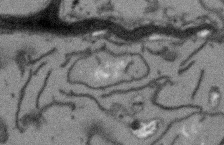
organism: Arabidopsis thaliana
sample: Root tip